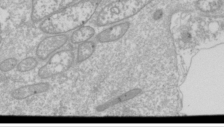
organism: Drosophila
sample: Cell division; meiosis; drosophila spermatocytes